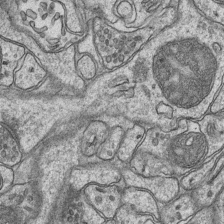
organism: Mouse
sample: CA1 Hippocampus